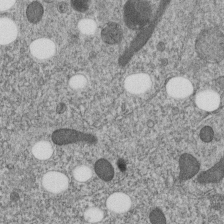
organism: C. elegans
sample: C. elegans embryo early stage